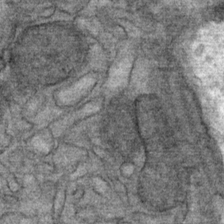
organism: Mouse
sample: Mouse Salivary gland